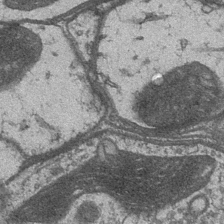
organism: Drosophila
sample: Optic medulla